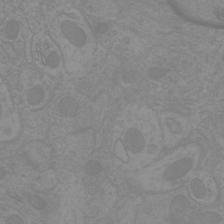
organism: Mouse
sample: Cortical neurons